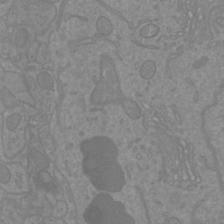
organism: Mouse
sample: Cortical neurons